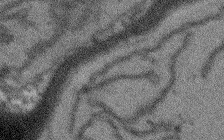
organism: Arabidopsis thaliana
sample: Root tip